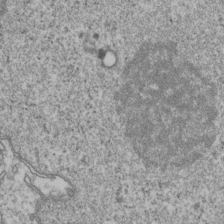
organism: Human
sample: Activated Jurkat CD4+ T cells